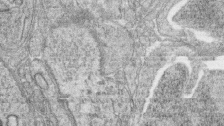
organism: Zebrafish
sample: synaptic ribbons in rod cells and cone cells